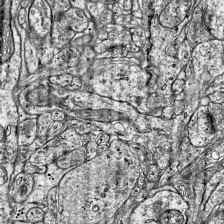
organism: Mouse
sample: Visual Cortex